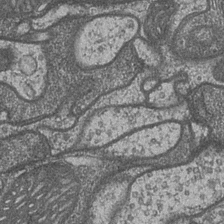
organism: Drosophila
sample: Optic medulla